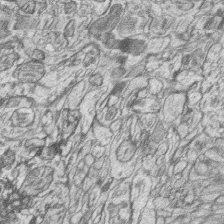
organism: Zebrafish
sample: synaptic ribbons in rod cells and cone cells